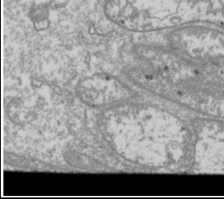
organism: Drosophila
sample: Cell division; meiosis; drosophila spermatocytes